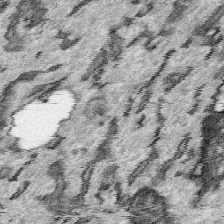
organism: Human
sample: HeLa cells